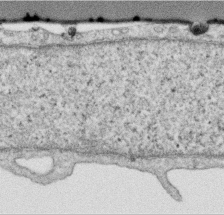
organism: Human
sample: Centriole in RPE cells